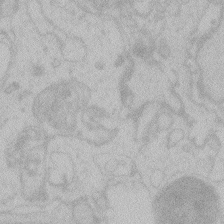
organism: Zebrafish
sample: Macrophage infected with Toxoplasma gondii